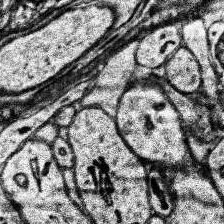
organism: Human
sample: Temporal Lobe